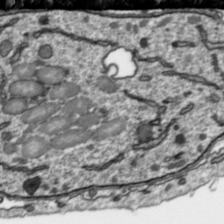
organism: Toxoplasma gondii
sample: Parasites in a vacuole inside a host cell